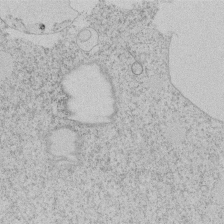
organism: Tetrahymena